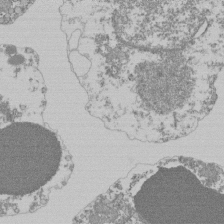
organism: Mouse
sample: Activated Pmel transgenic CD8+ T Cells